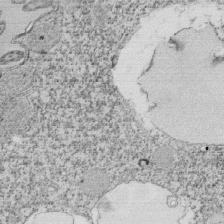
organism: Tetrahymena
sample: Cilia in tetrahymena